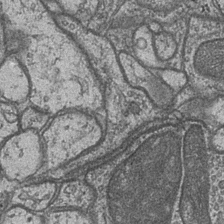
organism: Drosophila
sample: Optic medulla